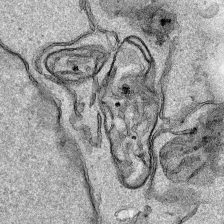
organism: Human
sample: Mitochondria in HCT116 cells